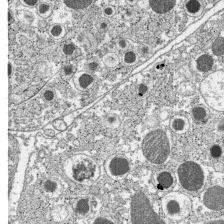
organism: C57BL Mouse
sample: Pancreatic islet